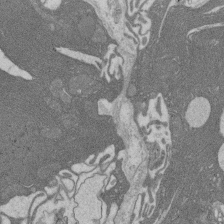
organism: Rat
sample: Salivary granule